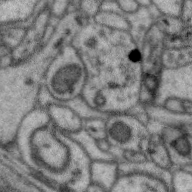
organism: Zebra finch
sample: Brain